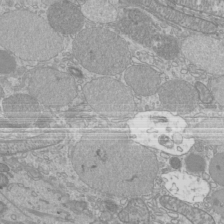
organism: Mouse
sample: Cilia; mouse epididymis